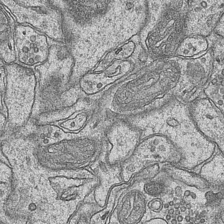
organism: Mouse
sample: CA1 Hippocampus